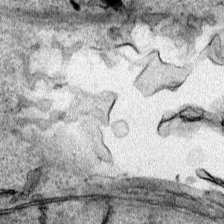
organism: Human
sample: Mitochondria in HCT116 cells